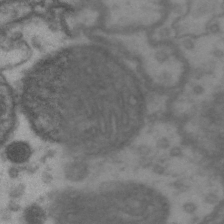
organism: Drosophila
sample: Brain